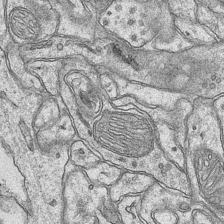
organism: Mouse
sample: CA1 Hippocampus